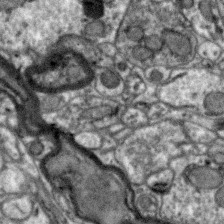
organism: Zebra finch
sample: Brain